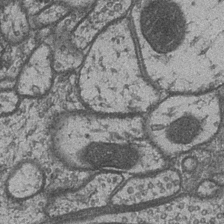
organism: Drosophila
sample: Optic medulla